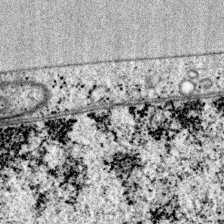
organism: Human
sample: HeLa cells